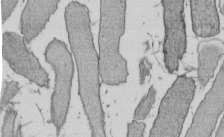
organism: E. coli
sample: Bacterial nucleoid